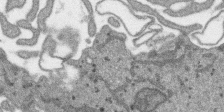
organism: Human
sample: Lung epithelial cells infected with SARS-CoV-2